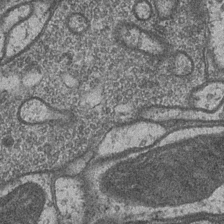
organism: Drosophila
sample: Optic medulla